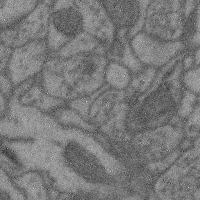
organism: Mouse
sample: Cerebral cortex